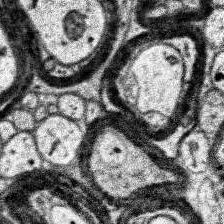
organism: Human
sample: Temporal Lobe